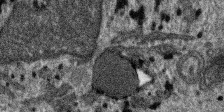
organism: Human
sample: Lung epithelial cells infected with SARS-CoV-2